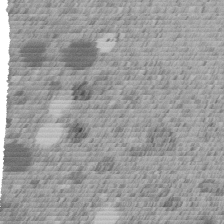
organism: C. elegans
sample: C. elegans embryo early stage